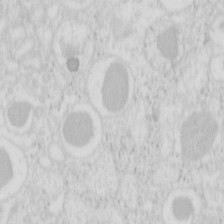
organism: Mouse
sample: Pancreas